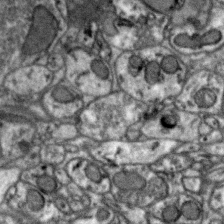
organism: Zebra finch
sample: Brain